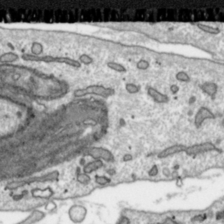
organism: Toxoplasma gondii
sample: Parasites in a vacuole inside a host cell